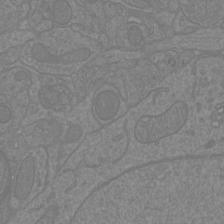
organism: Mouse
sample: Cortical neurons